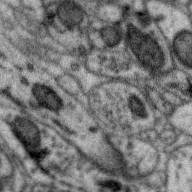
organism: Zebra finch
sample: Brain